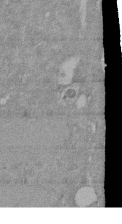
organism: Mouse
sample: ED-1 cell nuclei; centrioles